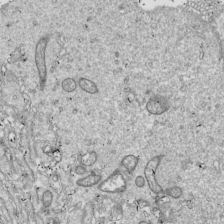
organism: Drosophila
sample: Cell division; meiosis; drosophila spermatocytes